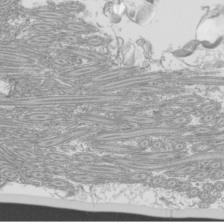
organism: Mouse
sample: Cilia; mouse epididymis